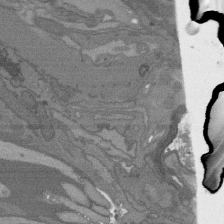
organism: C. elegans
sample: AFD neurons C. elegans